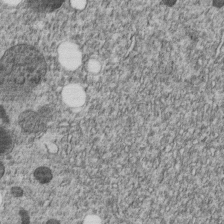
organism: C. elegans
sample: C. elegans embryo early stage